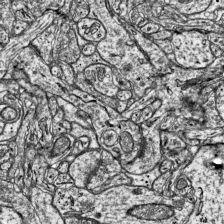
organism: Mouse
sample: Visual Cortex